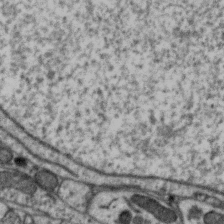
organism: Zebra finch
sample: Brain